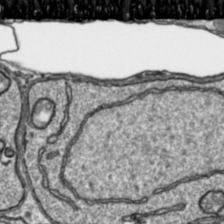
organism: Toxoplasma gondii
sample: Parasites in a vacuole inside a host cell